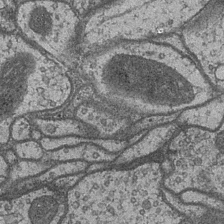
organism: Drosophila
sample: Optic medulla